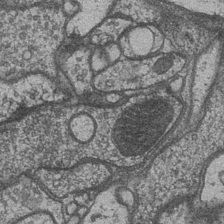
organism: Drosophila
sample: Optic medulla